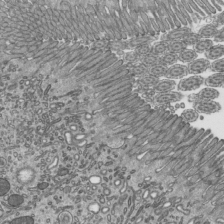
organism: Mouse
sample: Mouse epididymis efferent ductule cilia